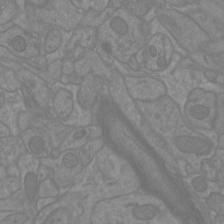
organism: Mouse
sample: Cortical neurons